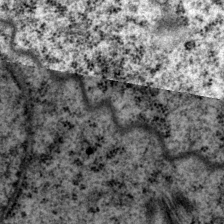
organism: P. pacificus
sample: Pharynx